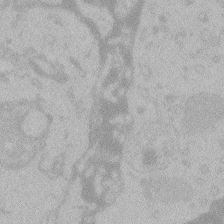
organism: Zebrafish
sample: Macrophage infected with Toxoplasma gondii